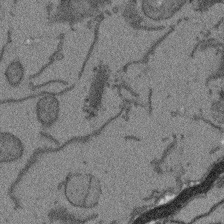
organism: Arabidopsis thaliana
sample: Root tip